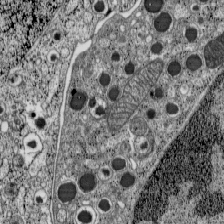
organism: C57BL Mouse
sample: Pancreatic islet